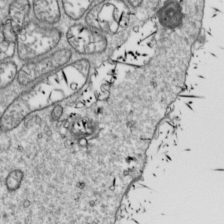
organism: Drosophila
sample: Cell division; meiosis; drosophila spermatocytes